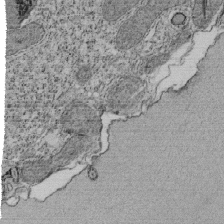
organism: Tetrahymena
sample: Cilia in tetrahymena